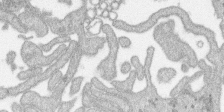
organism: Human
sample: Lung epithelial cells infected with SARS-CoV-2